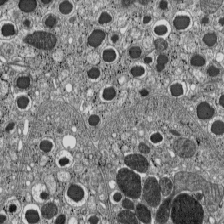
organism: C57BL Mouse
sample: Pancreatic islet